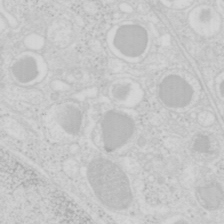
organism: Mouse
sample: Pancreas